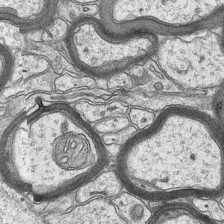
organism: Mouse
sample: CA1 Hippocampus